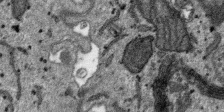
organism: Human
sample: Lung epithelial cells, uninfected (mock) control